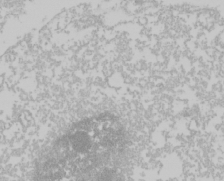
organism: Mouse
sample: Cancer cell death in ED-1 cells